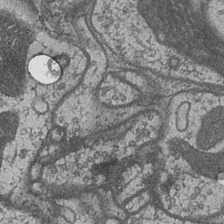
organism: Drosophila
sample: Optic medulla